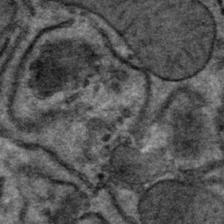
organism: Mouse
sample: Mouse hepatocytes